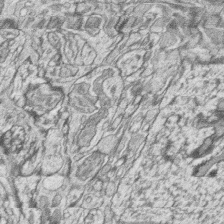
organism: Zebrafish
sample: synaptic ribbons in rod cells and cone cells